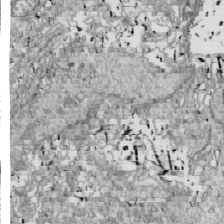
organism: Drosophila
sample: Cell division; meiosis; drosophila spermatocytes